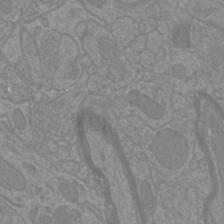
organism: Mouse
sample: Cortical neurons